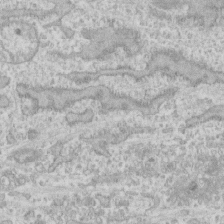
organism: Human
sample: CRL-1474